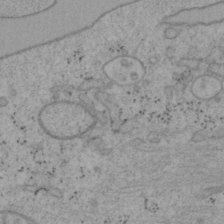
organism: Human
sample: HeLa cells